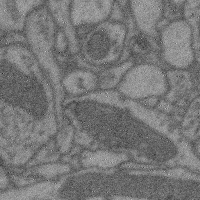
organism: Mouse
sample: Cerebral cortex